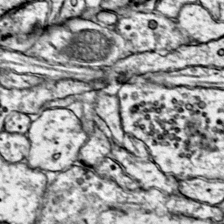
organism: Mouse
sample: Primary visual cortex